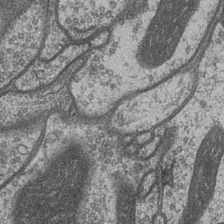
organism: Drosophila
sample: Optic medulla